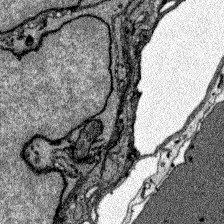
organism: Zebrafish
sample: Larval olfactory bulb